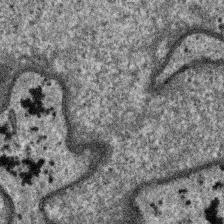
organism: Human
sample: Lung epithelial cells infected with SARS-CoV-2